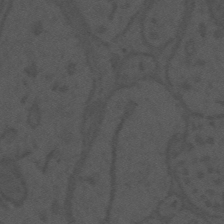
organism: Mouse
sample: Suprachiasmatic nucleus